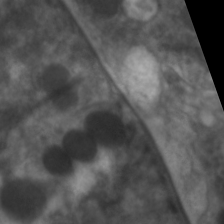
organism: C. elegans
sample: Pharynx